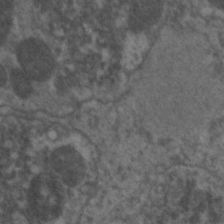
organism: C. elegans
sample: Pharynx